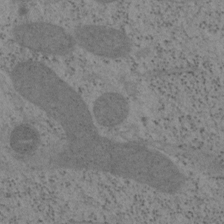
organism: Mouse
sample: OT-I killer T cells with ID8 ovarian cancer cells